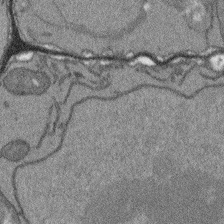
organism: Arabidopsis thaliana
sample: Root tip